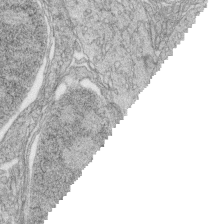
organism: Zebrafish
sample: synaptic ribbons in rod cells and cone cells